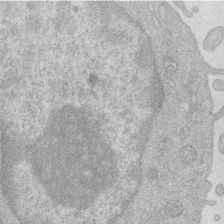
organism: Human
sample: Macrophage cells